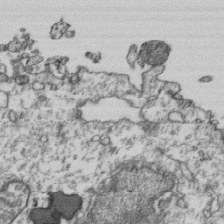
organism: Human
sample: Activated Jurkat CD4+ T cells